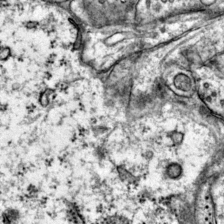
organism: Mouse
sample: Primary visual cortex